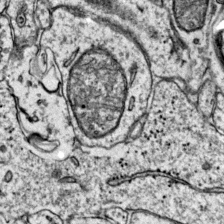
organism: Mouse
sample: Primary visual cortex